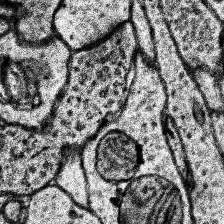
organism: Human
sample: Temporal Lobe